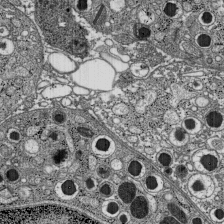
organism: C57BL Mouse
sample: Pancreatic islet